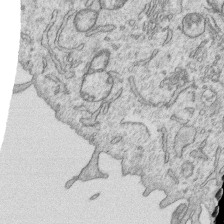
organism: Human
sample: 1205lu cells